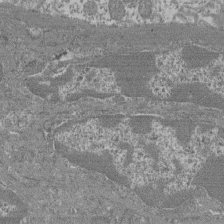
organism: Mouse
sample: Glomerulus